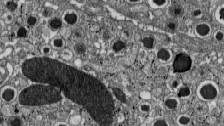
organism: C57BL Mouse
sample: Pancreatic islet